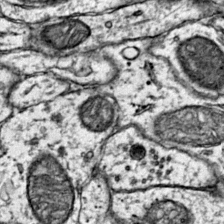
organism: Mouse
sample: Primary visual cortex